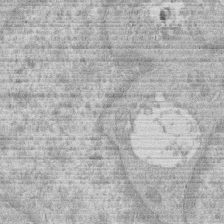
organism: Human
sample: Macrophage cells